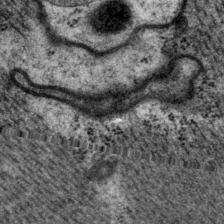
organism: P. pacificus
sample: Pharynx